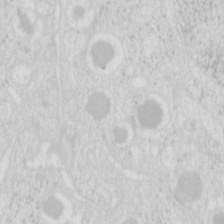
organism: Mouse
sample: Pancreas